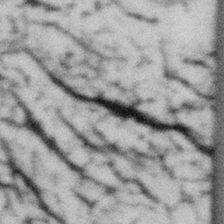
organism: Gemmata obscuriglobus